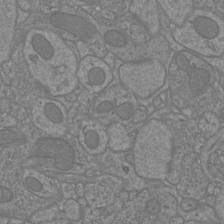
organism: Mouse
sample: Cortical neurons